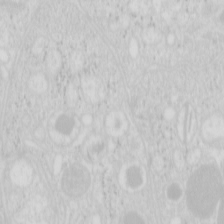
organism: Mouse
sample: Pancreas